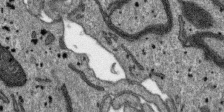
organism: Human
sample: Lung epithelial cells, uninfected (mock) control